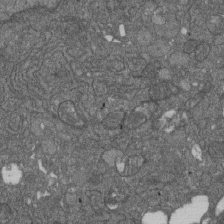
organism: Drosophila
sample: Nephrocyte